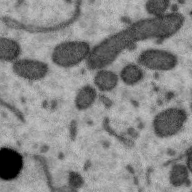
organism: Zebra finch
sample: Brain